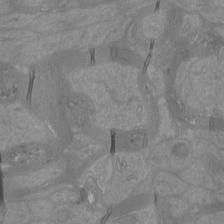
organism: Mouse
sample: Cortical neurons